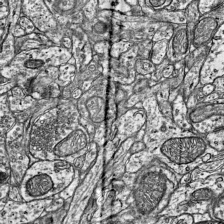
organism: Mouse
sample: Visual Cortex